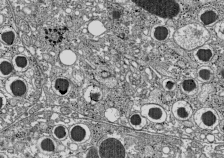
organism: C57BL Mouse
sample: Pancreatic islet